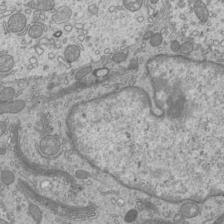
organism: Mouse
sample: Cilia; mouse epididymis